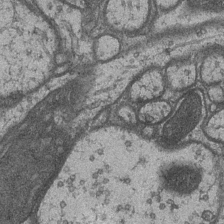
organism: Drosophila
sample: Optic medulla